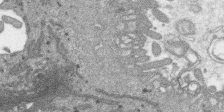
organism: Human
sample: Lung epithelial cells infected with SARS-CoV-2